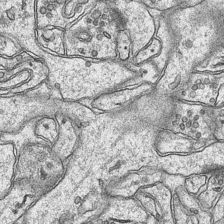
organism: Mouse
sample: CA1 Hippocampus